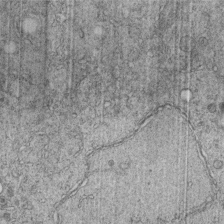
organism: C. elegans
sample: C. elegans embryo early stage